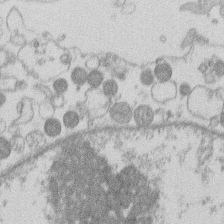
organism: Human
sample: Macrophage cells